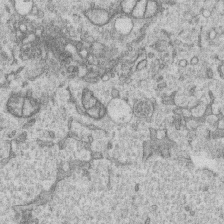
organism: Human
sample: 1205lu cells